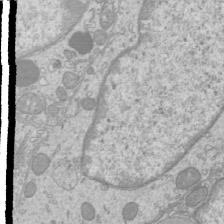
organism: Mouse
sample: Cilia; mouse epididymis